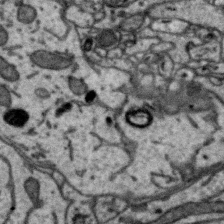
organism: Zebra finch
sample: Brain